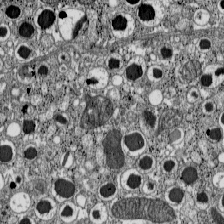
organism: C57BL Mouse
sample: Pancreatic islet